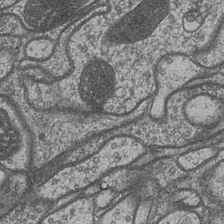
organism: Drosophila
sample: Optic medulla